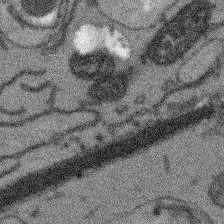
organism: Arabidopsis thaliana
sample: Root tip